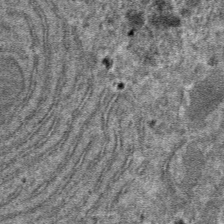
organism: Mouse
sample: Mouse hepatocytes